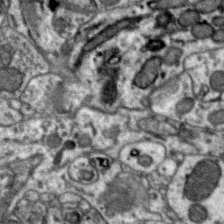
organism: Zebra finch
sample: Brain